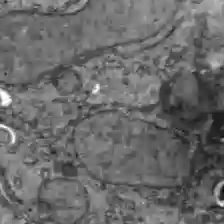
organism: C57BL Mouse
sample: Liver